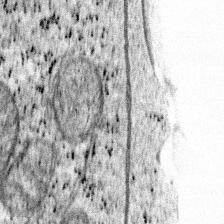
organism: Human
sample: HeLa cells